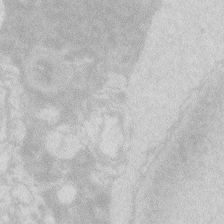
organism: Zebrafish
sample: Macrophage